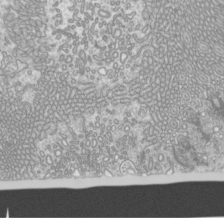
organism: Mouse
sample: Cilia; mouse epididymis